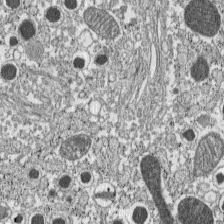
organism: C57BL Mouse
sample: Pancreatic islet